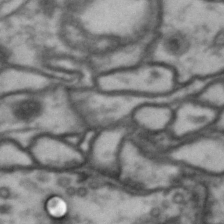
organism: Drosophila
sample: Brain